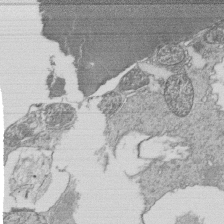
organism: Tetrahymena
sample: Cilia in tetrahymena